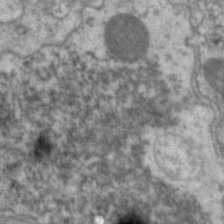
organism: C. elegans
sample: Pharynx